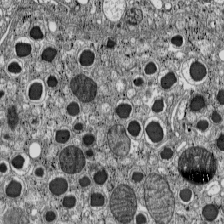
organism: C57BL Mouse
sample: Pancreatic islet